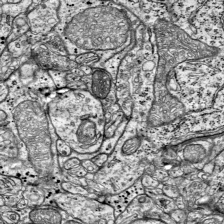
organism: Mouse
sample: Visual Cortex